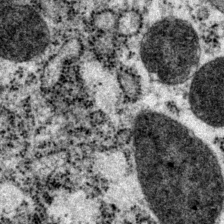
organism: P. pacificus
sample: Pharynx